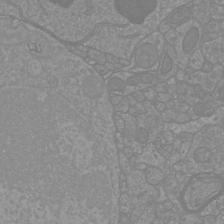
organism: Mouse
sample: Cortical neurons